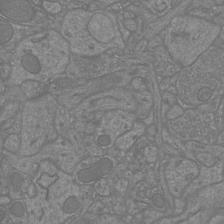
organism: Mouse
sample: Cortical neurons